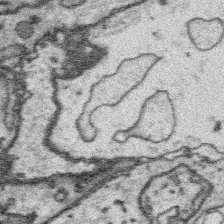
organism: Platynereis dumerilii